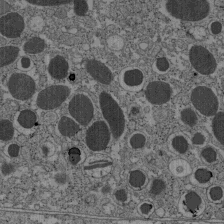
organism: C57BL Mouse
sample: Pancreatic islet